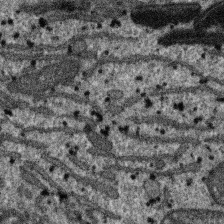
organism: Human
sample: Lung epithelial cells infected with SARS-CoV-2